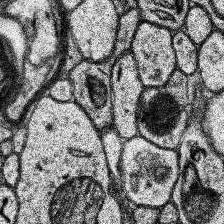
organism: Human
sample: Temporal Lobe